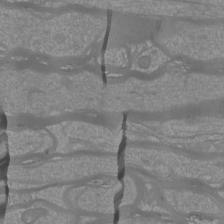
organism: Mouse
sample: Cortical neurons